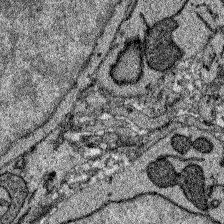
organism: Zebrafish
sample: Larval olfactory bulb